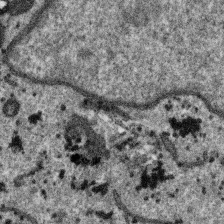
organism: Human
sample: Lung epithelial cells infected with SARS-CoV-2